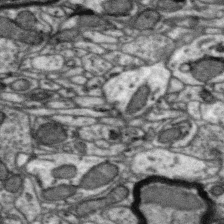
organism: Zebra finch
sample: Brain